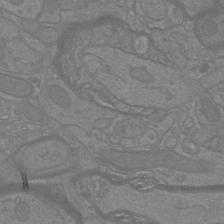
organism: Mouse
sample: Cortical neurons